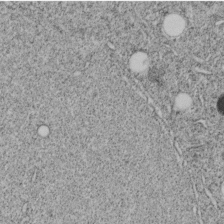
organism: C. elegans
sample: C. elegans embryo early stage